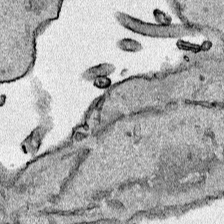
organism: Human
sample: Mitochondria in HCT116 cells